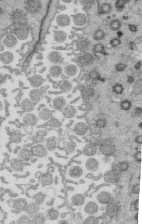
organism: Mouse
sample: Multiciliated cells